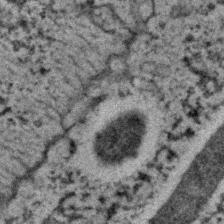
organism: C. elegans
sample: C. elegans embryo